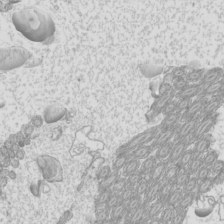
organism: Mouse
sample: Cilia; mouse epididymis